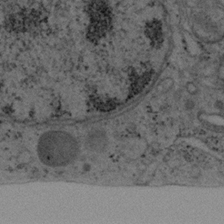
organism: Human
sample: HeLa cells